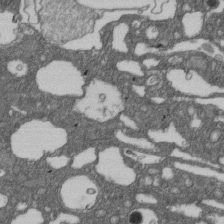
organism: Drosophila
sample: Nephrocyte